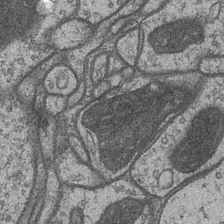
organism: Drosophila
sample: Optic medulla